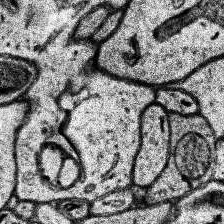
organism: Human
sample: Temporal Lobe